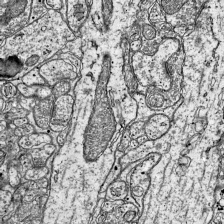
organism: Mouse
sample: Visual Cortex